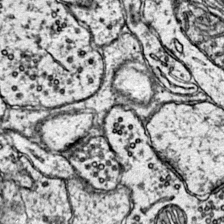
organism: Mouse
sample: Primary visual cortex